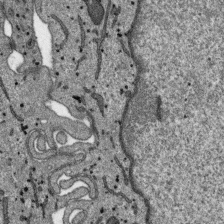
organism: Human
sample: Lung epithelial cells, uninfected (mock) control